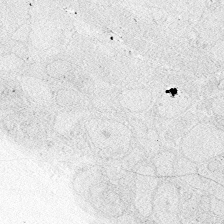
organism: Zebrafish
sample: Whole-Brain